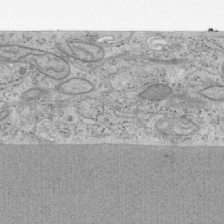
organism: Human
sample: HeLa cells